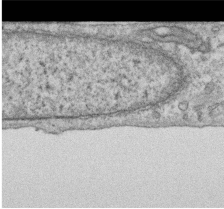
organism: Human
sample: Centriole in RPE cells